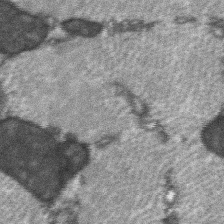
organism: C57BL Mouse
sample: Soleus